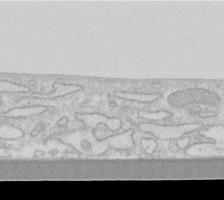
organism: Human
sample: Fibroblast cells